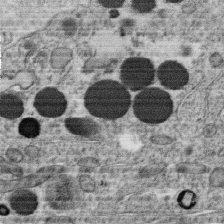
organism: C. elegans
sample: C. elegans oocyte; sperm cells